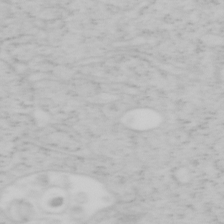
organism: Mouse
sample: OT-I killer T cells with ID8 ovarian cancer cells